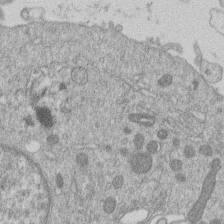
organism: Human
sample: Macrophage cells